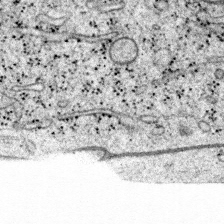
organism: Human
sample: HeLa cells